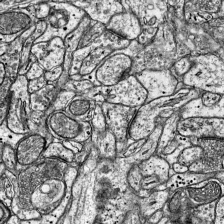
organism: Mouse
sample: Visual Cortex